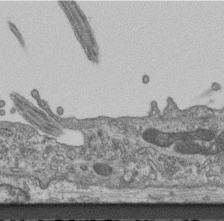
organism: Mouse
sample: Centriole in ependymal cells